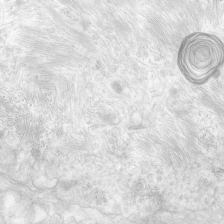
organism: Human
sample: Neocortex